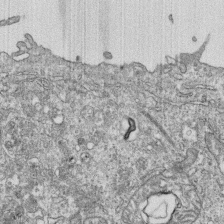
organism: Human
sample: HeLa cell HIV synapse